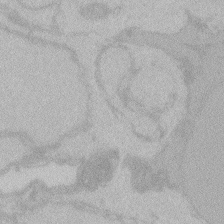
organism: Zebrafish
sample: Macrophage infected with Toxoplasma gondii